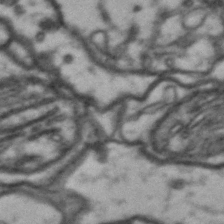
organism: Drosophila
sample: Brain